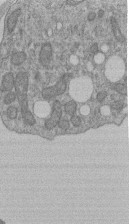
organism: Human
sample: Retinal organoid Rod and Cone cells